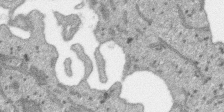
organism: Human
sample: Lung epithelial cells infected with SARS-CoV-2